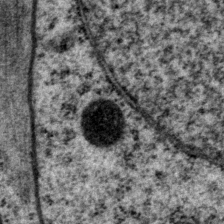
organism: P. pacificus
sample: Pharynx